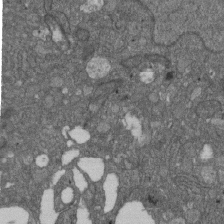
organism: Drosophila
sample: Nephrocyte